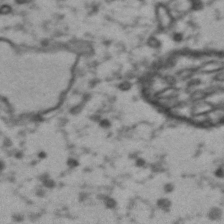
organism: Drosophila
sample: Brain